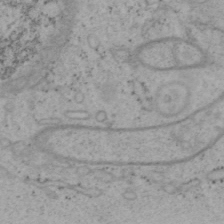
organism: Human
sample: HeLa cells